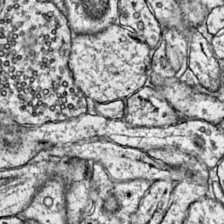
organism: Mouse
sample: Primary visual cortex